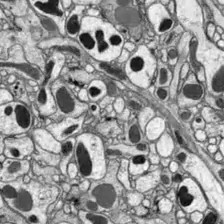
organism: Drosophila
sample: Optic lobe